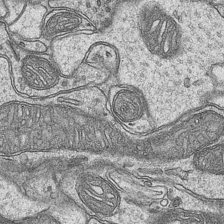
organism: Mouse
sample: CA1 Hippocampus